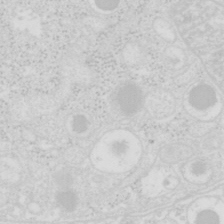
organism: Mouse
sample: Pancreas